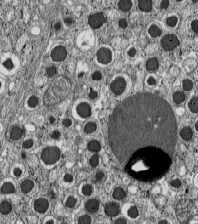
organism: C57BL Mouse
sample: Pancreatic islet